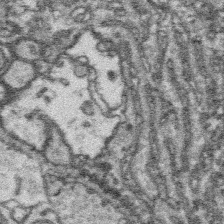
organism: Platynereis dumerilii